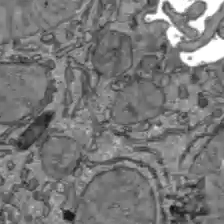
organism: C57BL Mouse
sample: Liver